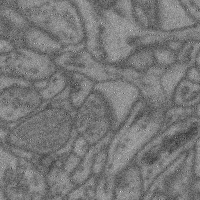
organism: Mouse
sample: Cerebral cortex